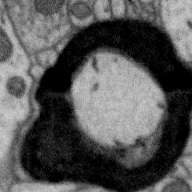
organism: Zebra finch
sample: Brain